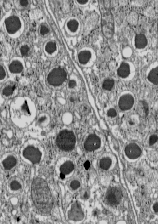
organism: C57BL Mouse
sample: Pancreatic islet